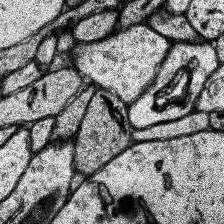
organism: Human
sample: Temporal Lobe